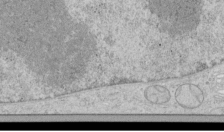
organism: Human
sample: Mitochondria in HCT116 cells